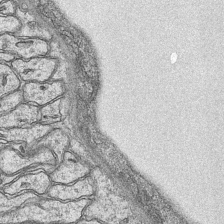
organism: Mouse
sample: CA1 Hippocampus